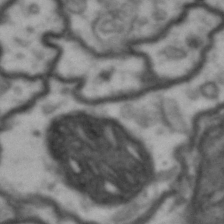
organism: Drosophila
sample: Brain